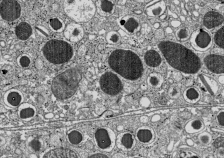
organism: C57BL Mouse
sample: Pancreatic islet